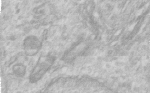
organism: Human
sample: Centriole in RPE cells